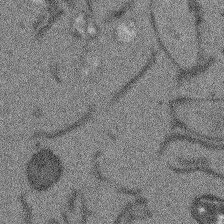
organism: Arabidopsis thaliana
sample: Root tip